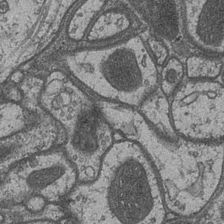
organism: Drosophila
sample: Optic medulla